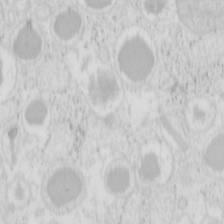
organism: Mouse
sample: Pancreas